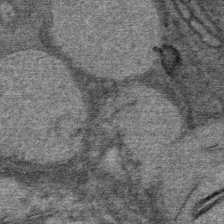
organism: Mouse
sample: Mouse Salivary gland